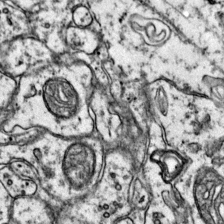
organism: Mouse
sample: Primary visual cortex